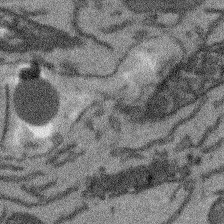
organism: Arabidopsis thaliana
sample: Root tip